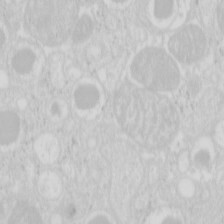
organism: Mouse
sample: Pancreas